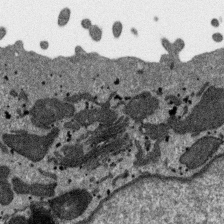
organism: Human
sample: Lung epithelial cells, uninfected (mock) control